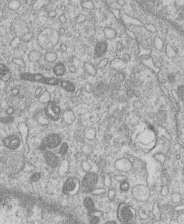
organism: Human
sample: Macrophage cells